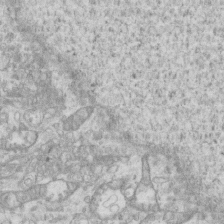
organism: Mouse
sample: Centriole in ependymal cells